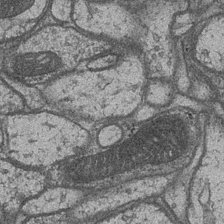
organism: Drosophila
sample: Optic medulla